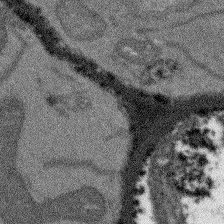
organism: Arabidopsis thaliana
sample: Root tip